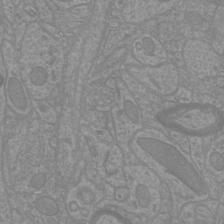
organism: Mouse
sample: Cortical neurons